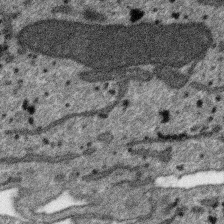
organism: Human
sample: Lung epithelial cells infected with SARS-CoV-2